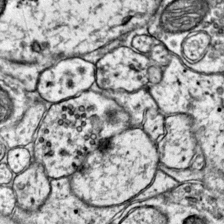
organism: Mouse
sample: Primary visual cortex